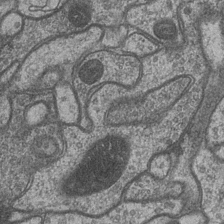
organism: Drosophila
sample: Optic medulla